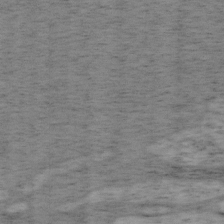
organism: Mouse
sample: OT-I killer T cells with ID8 ovarian cancer cells